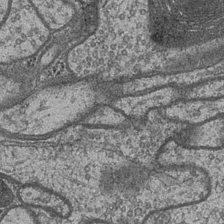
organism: Drosophila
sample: Optic medulla